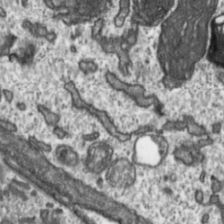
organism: Toxoplasma gondii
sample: Parasites in a vacuole inside a host cell